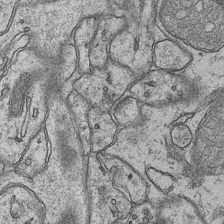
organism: Mouse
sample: CA1 Hippocampus